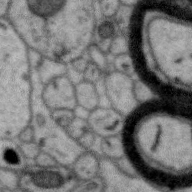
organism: Zebra finch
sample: Brain